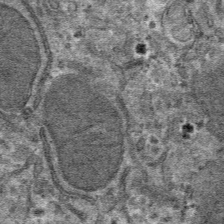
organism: Mouse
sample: Mouse hepatocytes